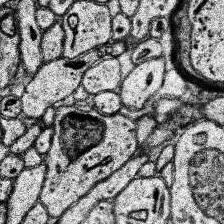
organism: Human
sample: Temporal Lobe